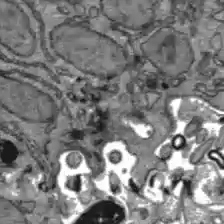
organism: C57BL Mouse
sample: Liver